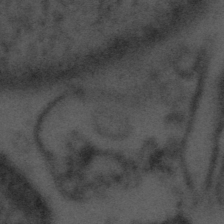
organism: Tuwongella immobilis